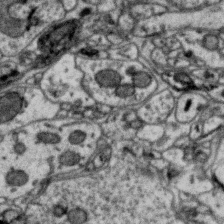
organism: Zebra finch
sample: Brain